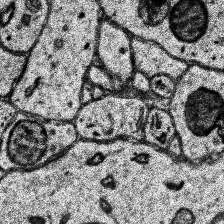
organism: Human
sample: Temporal Lobe